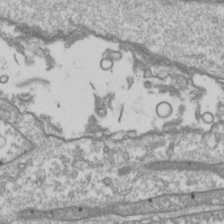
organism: Drosophila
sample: Cell division; meiosis; drosophila spermatocytes